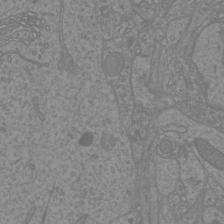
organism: Mouse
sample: Cortical neurons